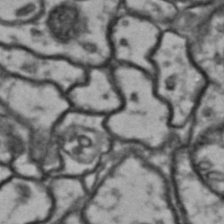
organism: Drosophila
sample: Brain